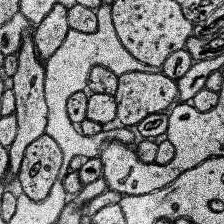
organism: Human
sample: Temporal Lobe